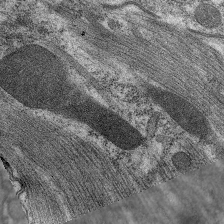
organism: C. elegans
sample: Pharynx